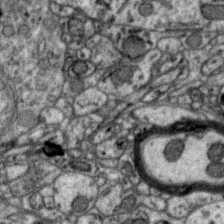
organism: Zebra finch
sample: Brain